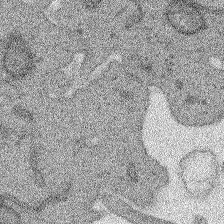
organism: Human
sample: HeLa cells